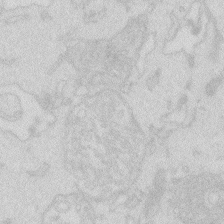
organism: Zebrafish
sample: Macrophage